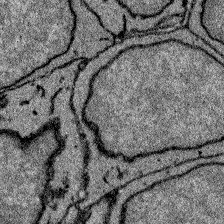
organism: Zebrafish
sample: Larval olfactory bulb